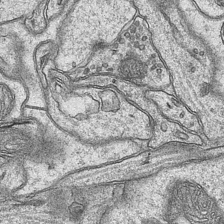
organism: Mouse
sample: CA1 Hippocampus